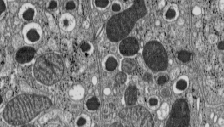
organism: C57BL Mouse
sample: Pancreatic islet